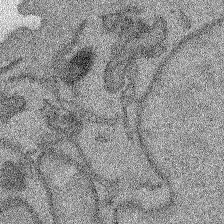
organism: Human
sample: HeLa cells